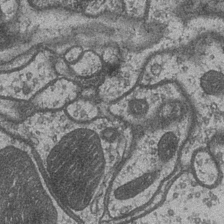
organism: Drosophila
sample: Optic medulla